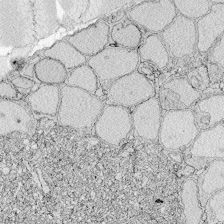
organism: Zebrafish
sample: Whole-Brain